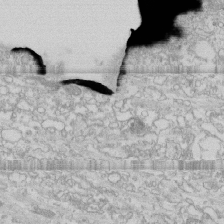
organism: Human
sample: CRL-1474